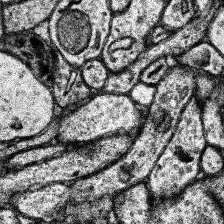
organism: Human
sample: Temporal Lobe